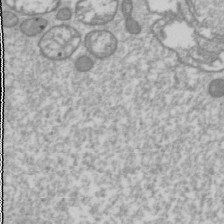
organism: Drosophila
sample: Cell division; meiosis; drosophila spermatocytes